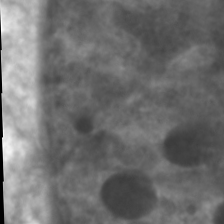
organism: C. elegans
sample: Pharynx